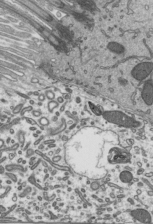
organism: Mouse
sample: Mouse epididymis efferent ductule cilia